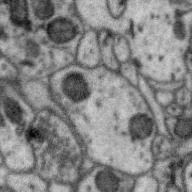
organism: Zebra finch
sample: Brain